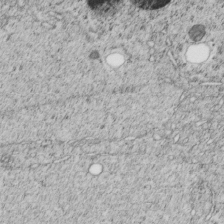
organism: C. elegans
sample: C. elegans embryo early stage